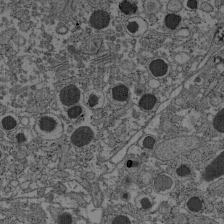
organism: C57BL Mouse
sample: Pancreatic islet